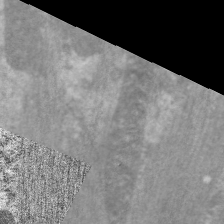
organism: C. elegans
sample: Pharynx